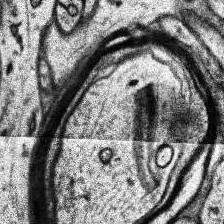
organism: Human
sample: Temporal Lobe